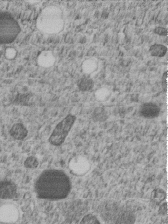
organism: C. elegans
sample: C. elegans embryo early stage